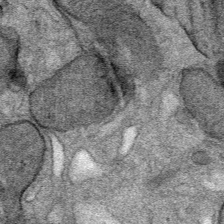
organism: Mouse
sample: Mouse Salivary gland